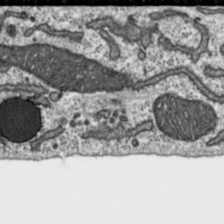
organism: Toxoplasma gondii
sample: Parasites in a vacuole inside a host cell